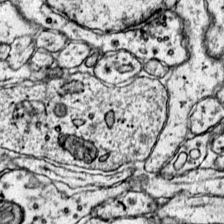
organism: Mouse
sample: Primary visual cortex